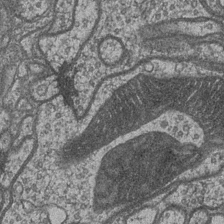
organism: Drosophila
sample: Optic medulla